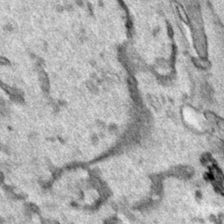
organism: Human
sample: Mitochondria in HCT116 cells